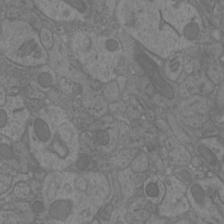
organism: Mouse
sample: Cortical neurons